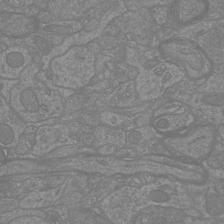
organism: Mouse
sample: Cortical neurons